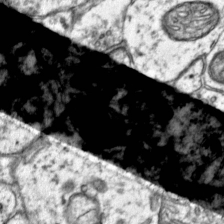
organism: Mouse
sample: Primary visual cortex